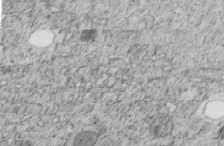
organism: C. elegans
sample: C. elegans embryo early stage